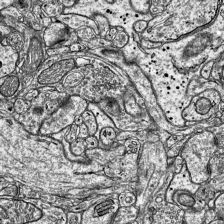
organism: Mouse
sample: Visual Cortex